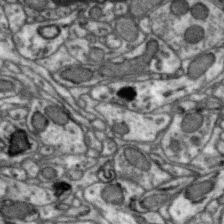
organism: Zebra finch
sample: Brain